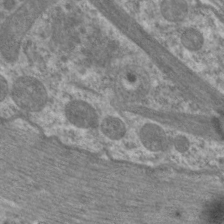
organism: C. elegans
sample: Pharynx